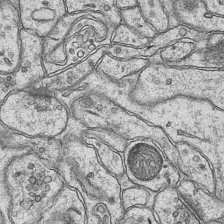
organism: Mouse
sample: CA1 Hippocampus